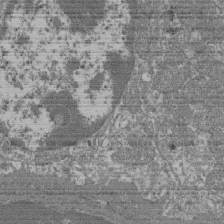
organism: Mouse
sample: Glomerulus